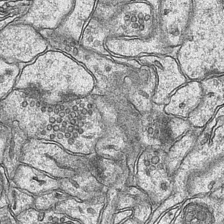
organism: Mouse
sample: CA1 Hippocampus